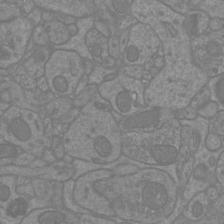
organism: Mouse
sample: Cortical neurons